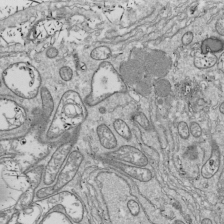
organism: Drosophila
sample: Cell division; meiosis; drosophila spermatocytes